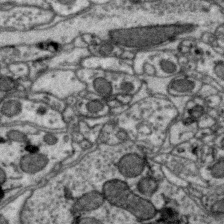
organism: Zebra finch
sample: Brain